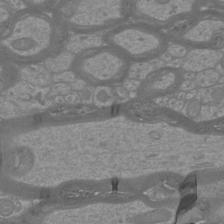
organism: Mouse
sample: Cortical neurons